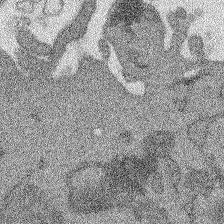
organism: Human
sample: HeLa cells